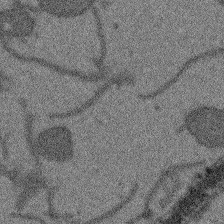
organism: Arabidopsis thaliana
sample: Root tip